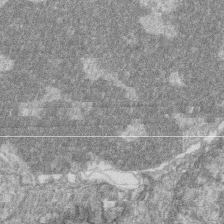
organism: Zebrafish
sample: Cilia; retinal pigment epithelium